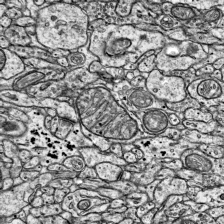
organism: Mouse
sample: Visual Cortex